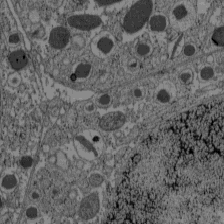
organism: C57BL Mouse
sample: Pancreatic islet